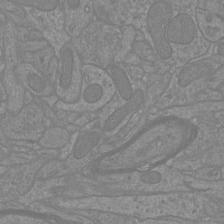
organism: Mouse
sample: Cortical neurons